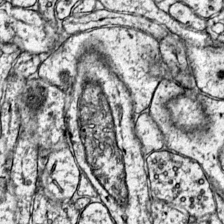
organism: Mouse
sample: Primary visual cortex